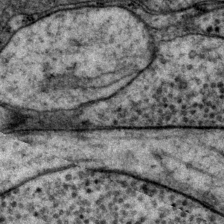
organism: P. pacificus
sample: Pharynx